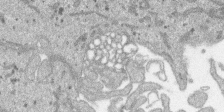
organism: Human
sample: Lung epithelial cells infected with SARS-CoV-2